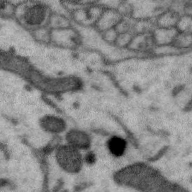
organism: Zebra finch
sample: Brain